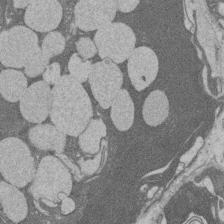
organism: Rat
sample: Salivary granule